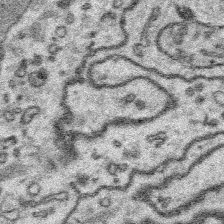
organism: Platynereis dumerilii